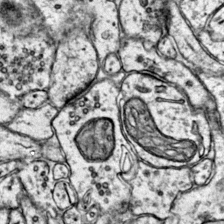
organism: Mouse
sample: Primary visual cortex